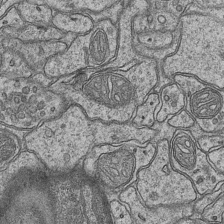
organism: Mouse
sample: CA1 Hippocampus